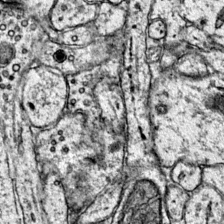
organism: Mouse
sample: Primary visual cortex